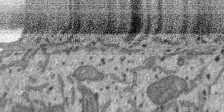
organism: Human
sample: Lung epithelial cells infected with SARS-CoV-2